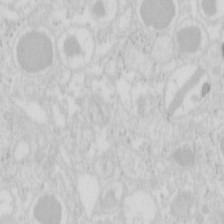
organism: Mouse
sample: Pancreas